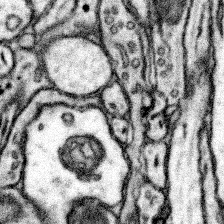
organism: Mouse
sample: Somatosensory cortex neuropil